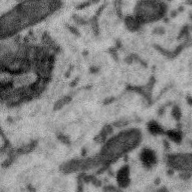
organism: Zebra finch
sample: Brain